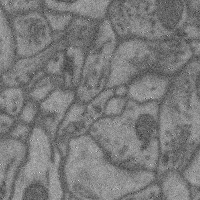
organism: Mouse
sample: Cerebral cortex